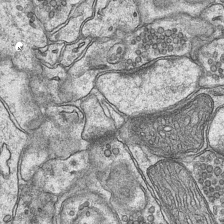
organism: Mouse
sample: CA1 Hippocampus